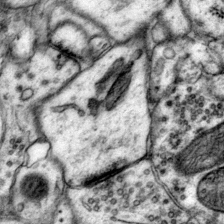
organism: Mouse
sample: Primary visual cortex